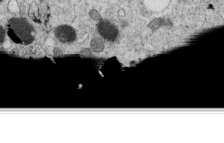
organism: C. elegans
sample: C. elegans oocyte; sperm cells